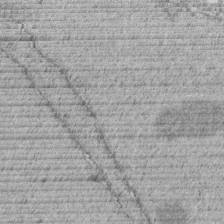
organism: C. elegans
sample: C. elegans embryo early stage